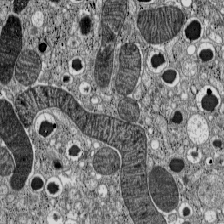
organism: C57BL Mouse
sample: Pancreatic islet